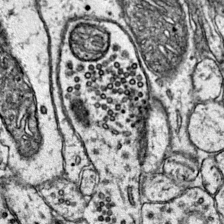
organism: Mouse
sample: Primary visual cortex